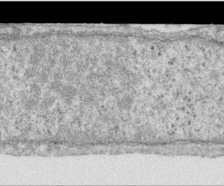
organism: Human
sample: Centriole in RPE cells